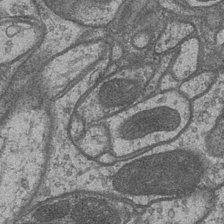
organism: Drosophila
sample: Optic medulla